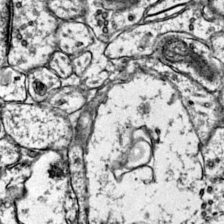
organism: Mouse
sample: Primary visual cortex